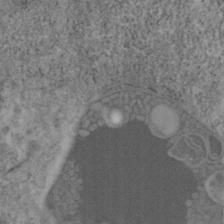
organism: Mouse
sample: OT-I killer T cells with ID8 ovarian cancer cells